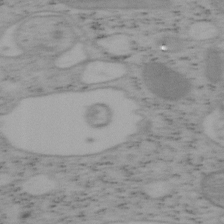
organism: Mouse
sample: OT-I killer T cells with ID8 ovarian cancer cells